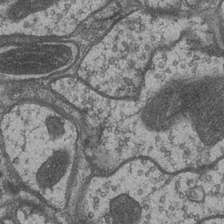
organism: Drosophila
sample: Optic medulla